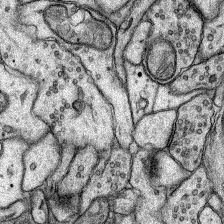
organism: Rat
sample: Hippocampus